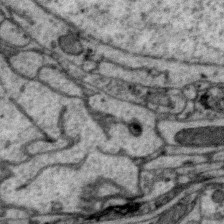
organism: Zebra finch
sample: Brain